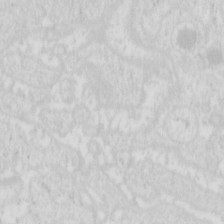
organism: Mouse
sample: Pancreas